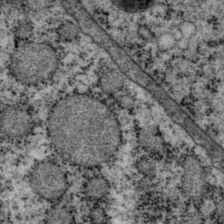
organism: P. pacificus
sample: Pharynx